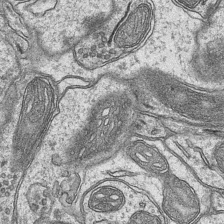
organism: Mouse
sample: CA1 Hippocampus